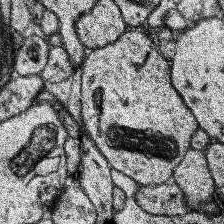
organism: Human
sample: Temporal Lobe